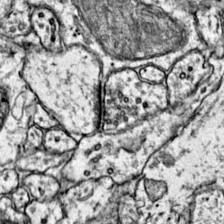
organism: Mouse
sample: Primary visual cortex